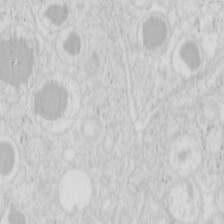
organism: Mouse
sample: Pancreas